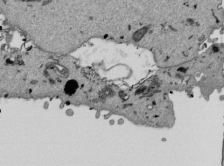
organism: Mouse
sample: ED-1 cell nuclei; centrioles